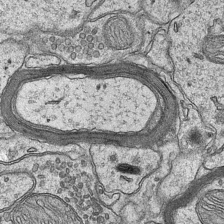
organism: Mouse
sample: CA1 Hippocampus